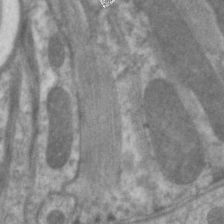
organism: C. elegans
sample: Pharynx